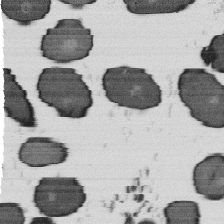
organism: B. subtilis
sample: Bacterial spore